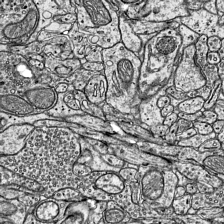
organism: Mouse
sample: Visual Cortex